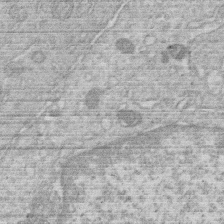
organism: Human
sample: Macrophage cells